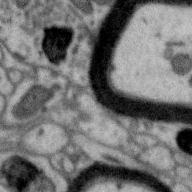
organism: Zebra finch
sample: Brain